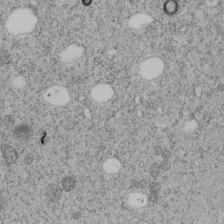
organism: C. elegans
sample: C. elegans embryo early stage